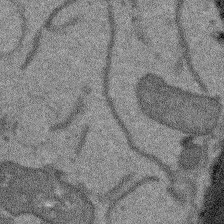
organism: Arabidopsis thaliana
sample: Root tip